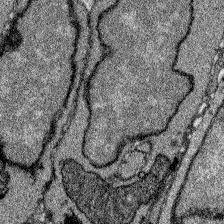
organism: Zebrafish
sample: Larval olfactory bulb